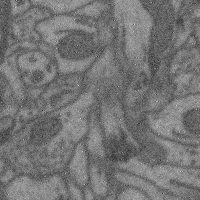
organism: Mouse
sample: Cerebral cortex